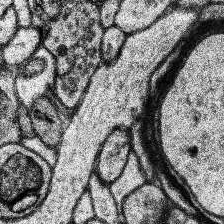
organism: Human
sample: Temporal Lobe